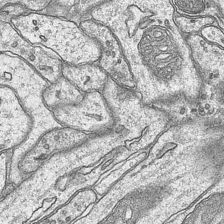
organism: Mouse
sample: CA1 Hippocampus